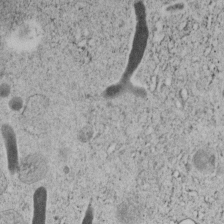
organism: C. elegans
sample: C. elegans embryo early stage